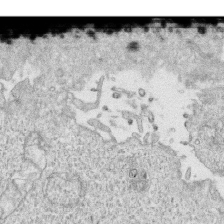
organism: Human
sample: HeLa cell HIV synapse